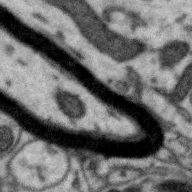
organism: Zebra finch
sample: Brain